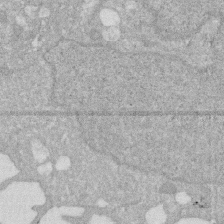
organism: Human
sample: HIV infected U937 cells